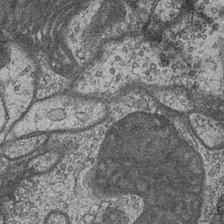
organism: Drosophila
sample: Optic medulla